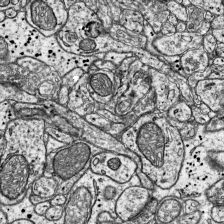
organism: Mouse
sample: Visual Cortex